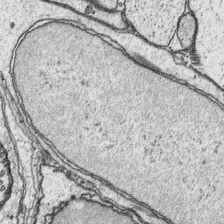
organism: Platynereis dumerilii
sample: Parapodia